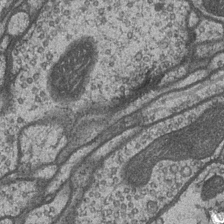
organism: Drosophila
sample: Optic medulla